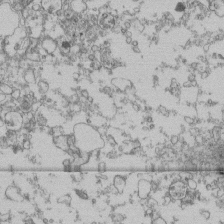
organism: Human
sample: Fibroblast cells